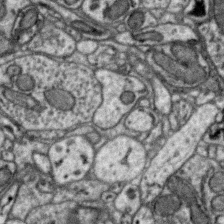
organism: Zebra finch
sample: Brain